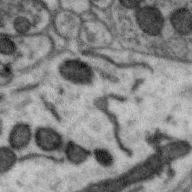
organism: Zebra finch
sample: Brain